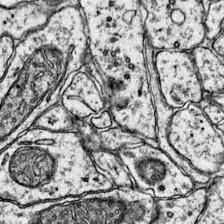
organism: Mouse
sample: Primary visual cortex